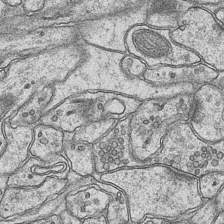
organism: Mouse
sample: CA1 Hippocampus